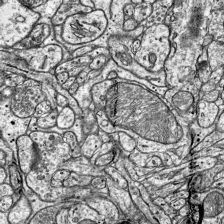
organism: Mouse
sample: Visual Cortex